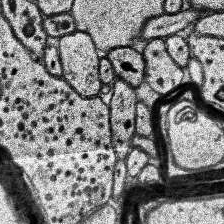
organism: Human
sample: Temporal Lobe